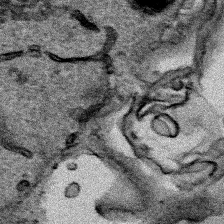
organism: Human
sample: Mitochondria in HCT116 cells